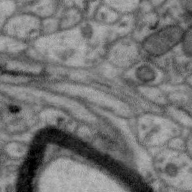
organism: Zebra finch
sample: Brain